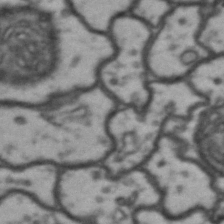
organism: Drosophila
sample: Brain